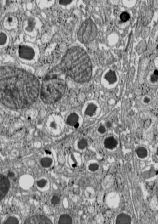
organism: C57BL Mouse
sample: Pancreatic islet